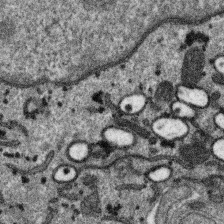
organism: Human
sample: Lung epithelial cells infected with SARS-CoV-2